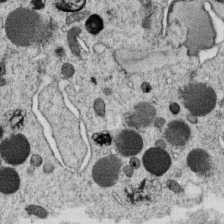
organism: C. elegans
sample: C. elegans oocyte; sperm cells